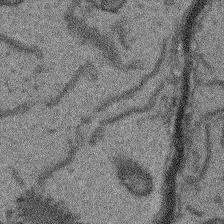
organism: Arabidopsis thaliana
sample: Root tip